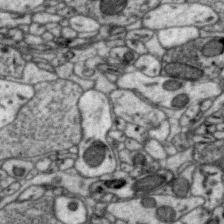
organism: Zebra finch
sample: Brain